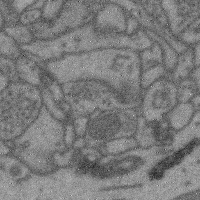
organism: Mouse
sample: Cerebral cortex